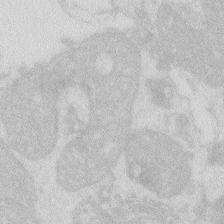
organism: Zebrafish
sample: Macrophage